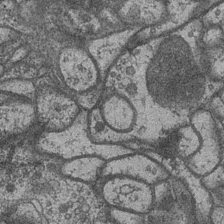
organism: Drosophila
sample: Optic medulla